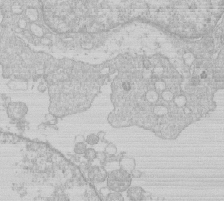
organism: Human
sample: Macrophage cells